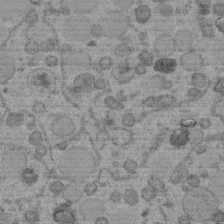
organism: C. elegans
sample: C. elegans embryo early stage